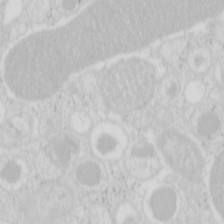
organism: Mouse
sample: Pancreas